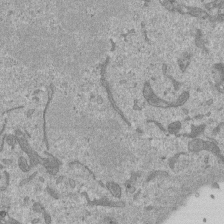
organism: Mouse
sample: ED-1 cell nuclei; centrioles